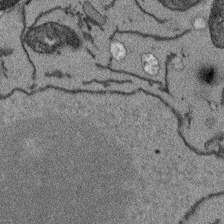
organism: Arabidopsis thaliana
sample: Root tip